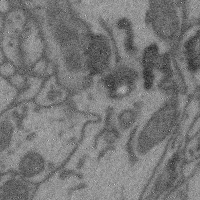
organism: Mouse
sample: Cerebral cortex